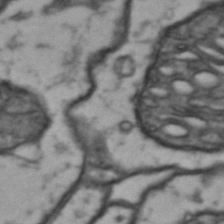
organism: Drosophila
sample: Brain